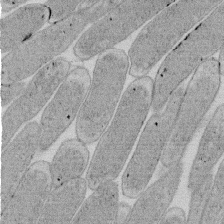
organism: E. coli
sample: Bacterial nucleoid